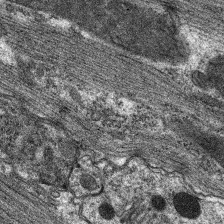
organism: C. elegans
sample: Pharynx